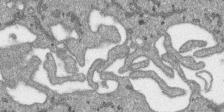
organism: Human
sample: Lung epithelial cells infected with SARS-CoV-2